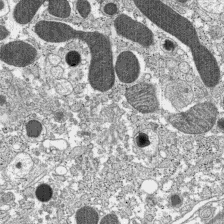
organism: C57BL Mouse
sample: Pancreatic islet